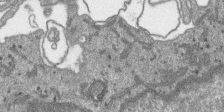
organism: Human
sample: Lung epithelial cells infected with SARS-CoV-2